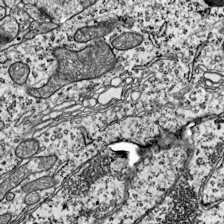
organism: Mouse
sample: Visual Cortex